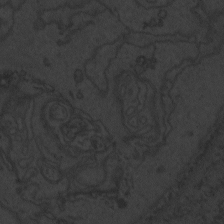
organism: Zebrafish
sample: Macrophage infected with Toxoplasma gondii